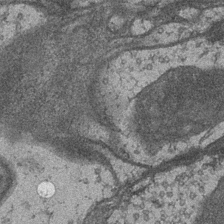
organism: Drosophila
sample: Optic medulla